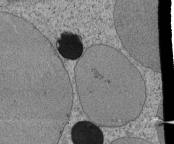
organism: Tetrahymena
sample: Cilia in tetrahymena